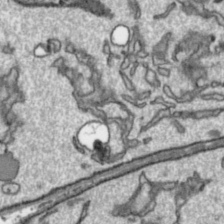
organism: Toxoplasma gondii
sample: Parasites in a vacuole inside a host cell